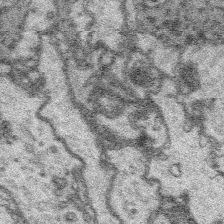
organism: Platynereis dumerilii